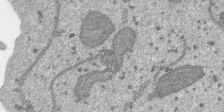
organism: Human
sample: Lung epithelial cells infected with SARS-CoV-2